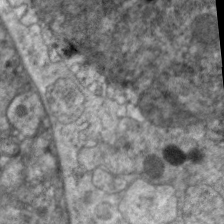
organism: C. elegans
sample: Pharynx